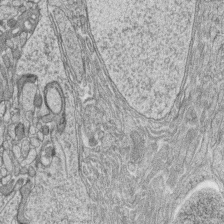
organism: Zebrafish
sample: synaptic ribbons in rod cells and cone cells